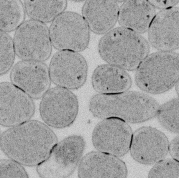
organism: E. coli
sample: Bacterial nucleoid